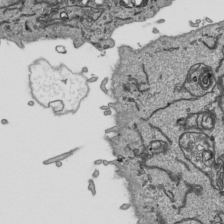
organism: Human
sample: Mitochondria in HCT116 cells